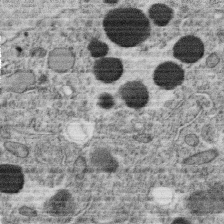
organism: C. elegans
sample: C. elegans oocyte; sperm cells